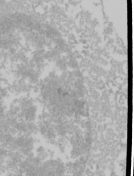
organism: Mouse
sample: Cancer cell death in ED-1 cells